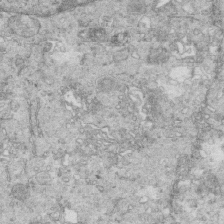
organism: Mouse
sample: Multiciliated cells